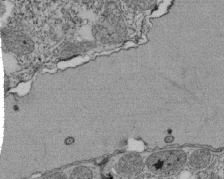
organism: Tetrahymena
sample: Cilia in tetrahymena